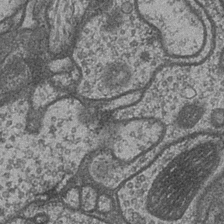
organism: Drosophila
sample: Optic medulla